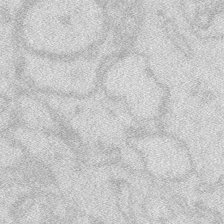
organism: Zebrafish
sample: Macrophage